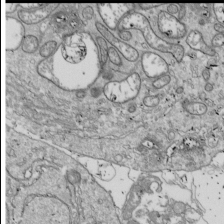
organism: Drosophila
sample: Cell division; meiosis; drosophila spermatocytes